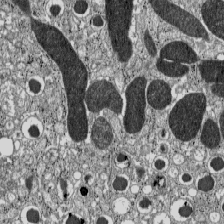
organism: C57BL Mouse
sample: Pancreatic islet